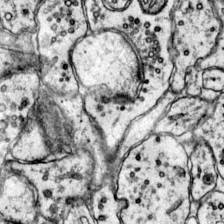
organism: Mouse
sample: Primary visual cortex